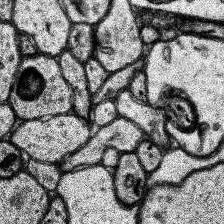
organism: Human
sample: Temporal Lobe